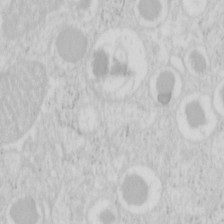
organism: Mouse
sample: Pancreas